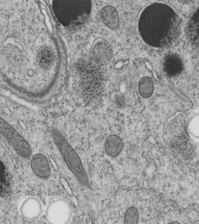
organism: C. elegans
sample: C. elegans embryo early stage